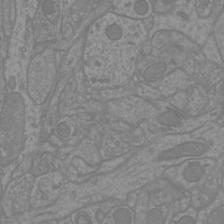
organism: Mouse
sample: Cortical neurons